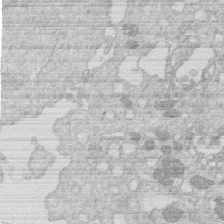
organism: Human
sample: Macrophage cells